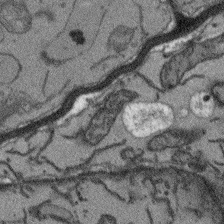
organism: Arabidopsis thaliana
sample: Root tip